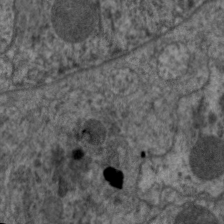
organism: C. elegans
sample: Pharynx